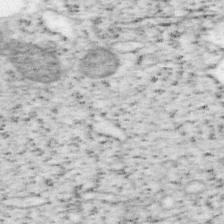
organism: Mouse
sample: OT-I killer T cells with ID8 ovarian cancer cells